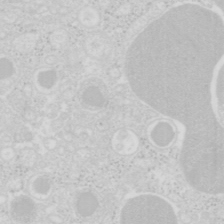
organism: Mouse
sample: Pancreas